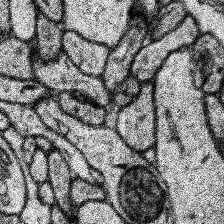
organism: Human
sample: Temporal Lobe